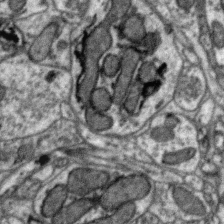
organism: Zebra finch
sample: Brain